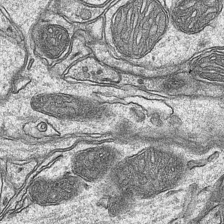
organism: Mouse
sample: CA1 Hippocampus